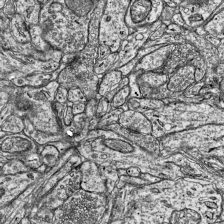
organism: Mouse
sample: Visual Cortex